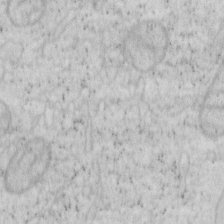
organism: Human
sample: HeLa cells